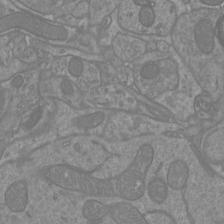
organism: Mouse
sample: Cortical neurons